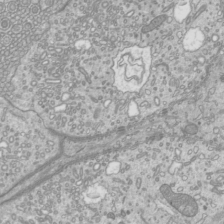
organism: Mouse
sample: Cilia; mouse epididymis